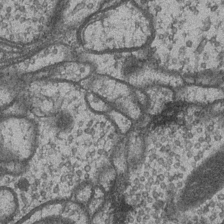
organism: Drosophila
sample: Optic medulla